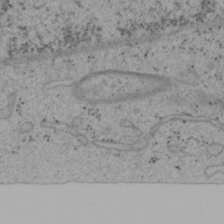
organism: Human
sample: HeLa cells